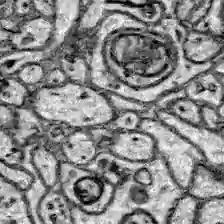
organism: Zebrafish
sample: Brain